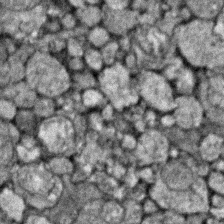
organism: Zebrafish